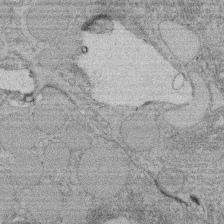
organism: Rat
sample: Salivary granule